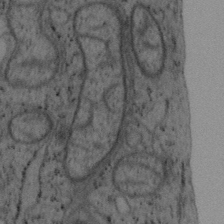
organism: Human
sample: HeLa cells